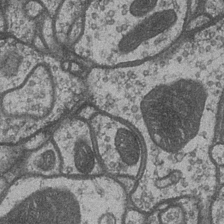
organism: Drosophila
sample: Optic medulla